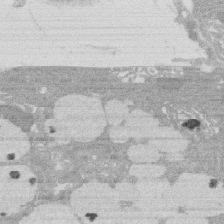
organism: Rat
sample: Salivary granule